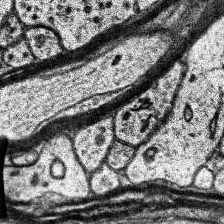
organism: Human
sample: Temporal Lobe